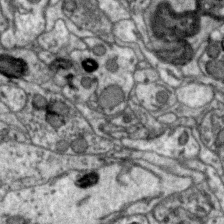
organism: Zebra finch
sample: Brain